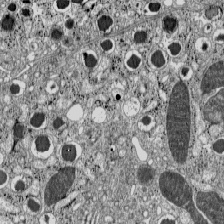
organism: C57BL Mouse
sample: Pancreatic islet